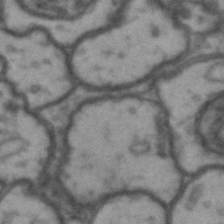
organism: Drosophila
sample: Brain